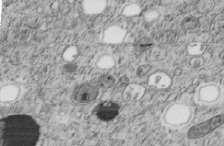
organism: C. elegans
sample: C. elegans embryo early stage